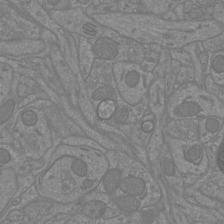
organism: Mouse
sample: Cortical neurons